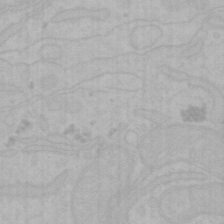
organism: Mouse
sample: Choroid plexus